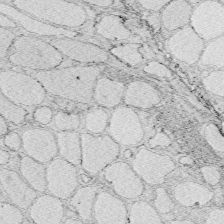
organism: Zebrafish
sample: Whole-Brain